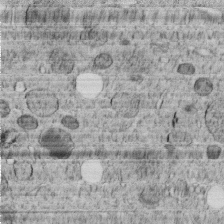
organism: C. elegans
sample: C. elegans embryo early stage